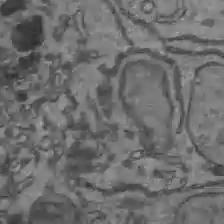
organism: C57BL Mouse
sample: Liver